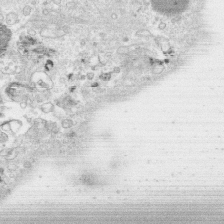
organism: Human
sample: CRL-1474